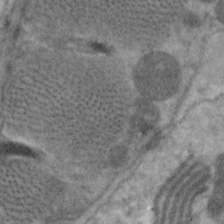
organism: C. elegans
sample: Pharynx